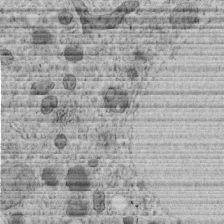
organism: C. elegans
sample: C. elegans embryo early stage